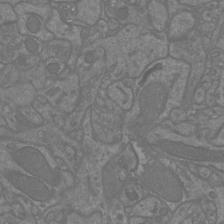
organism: Mouse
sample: Cortical neurons